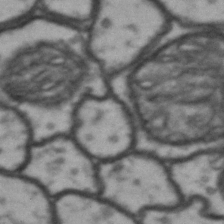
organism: Drosophila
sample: Brain